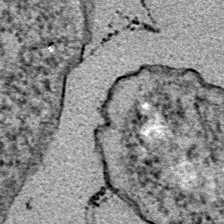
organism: E. coli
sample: E. Coli Bacteria